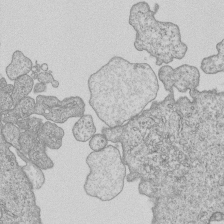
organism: Human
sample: MDA-MB-231 cells